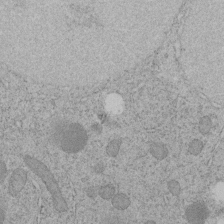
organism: C. elegans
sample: C. elegans embryo early stage